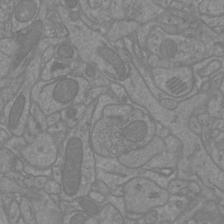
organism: Mouse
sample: Cortical neurons